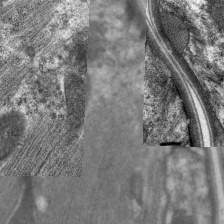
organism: C. elegans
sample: Pharynx